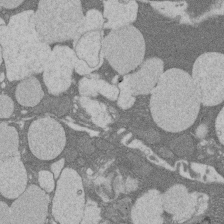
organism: Rat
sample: Salivary granule